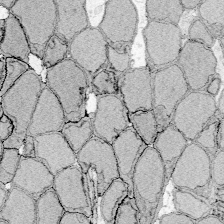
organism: Zebrafish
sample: Whole-Brain